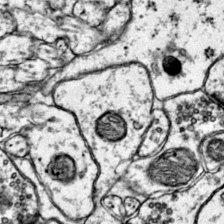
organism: Mouse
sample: Primary visual cortex